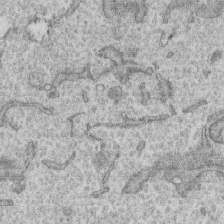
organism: Human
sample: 1205lu cells